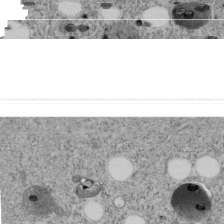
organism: C. elegans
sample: C. elegans embryo early stage